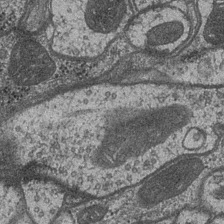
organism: Drosophila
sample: Optic medulla